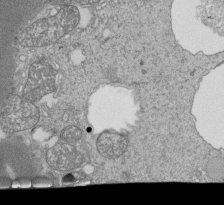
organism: Tetrahymena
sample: Cilia in tetrahymena